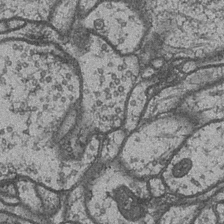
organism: Drosophila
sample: Optic medulla